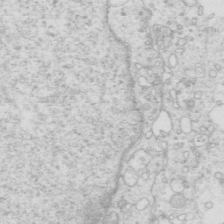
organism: Mouse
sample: Multiciliated cells